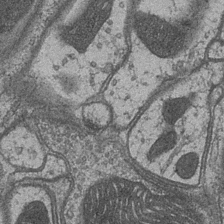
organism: Drosophila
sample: Optic medulla